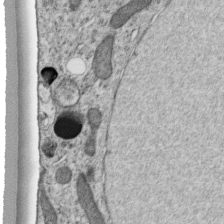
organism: C. elegans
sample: C. elegans embryo early stage